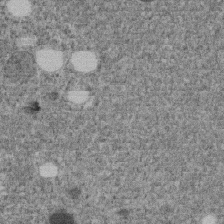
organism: C. elegans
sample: C. elegans embryo early stage